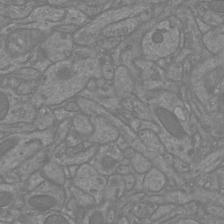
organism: Mouse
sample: Cortical neurons